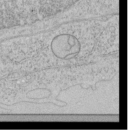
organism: Human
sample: Mitochondria in HCT116 cells